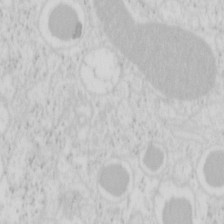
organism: Mouse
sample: Pancreas